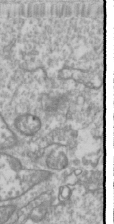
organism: Drosophila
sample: Cell division; meiosis; drosophila spermatocytes